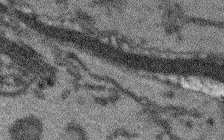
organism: Arabidopsis thaliana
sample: Root tip